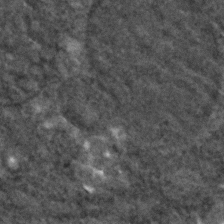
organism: C. elegans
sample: C. elegans embryo